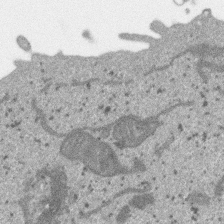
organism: Human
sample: Lung epithelial cells infected with SARS-CoV-2